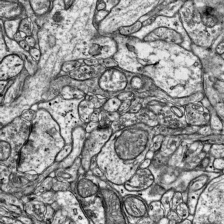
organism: Mouse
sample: Visual Cortex